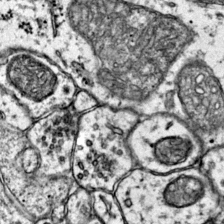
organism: Mouse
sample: Primary visual cortex